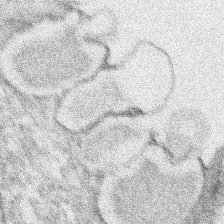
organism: Xenopus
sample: Cilia; centrioles in frog embryo cells